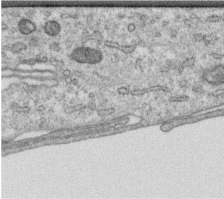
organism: Human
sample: Centriole in RPE cells